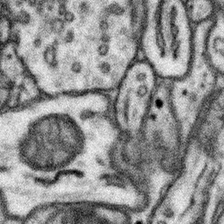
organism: Mouse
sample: Somatosensory cortex neuropil